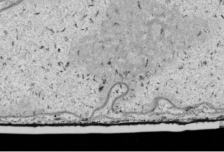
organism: Human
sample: Mitochondria in HCT116 cells